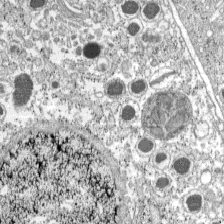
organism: C57BL Mouse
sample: Pancreatic islet